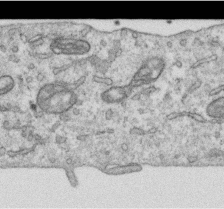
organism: Human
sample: Centriole in RPE cells